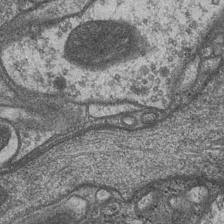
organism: Drosophila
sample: Optic medulla